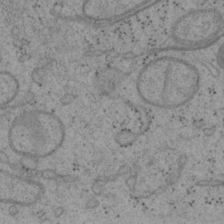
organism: Human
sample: HeLa cells